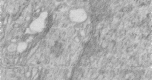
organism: Human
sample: Centriole in fibroblast cells